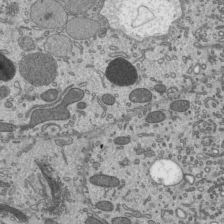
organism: Mouse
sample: Mouse epididymis efferent ductule cilia